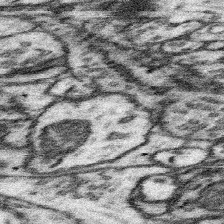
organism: Mouse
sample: Somatosensory cortex neuropil